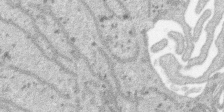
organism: Human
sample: Lung epithelial cells infected with SARS-CoV-2